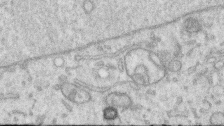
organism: Human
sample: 1205lu cells